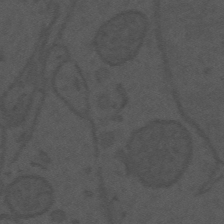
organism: Mouse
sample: Suprachiasmatic nucleus